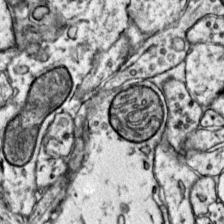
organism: Mouse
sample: Primary visual cortex